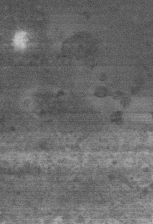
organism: Mouse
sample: Centriole in ependymal cells